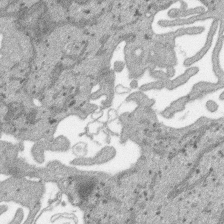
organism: Human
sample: Lung epithelial cells infected with SARS-CoV-2